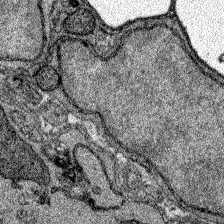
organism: Zebrafish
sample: Larval olfactory bulb